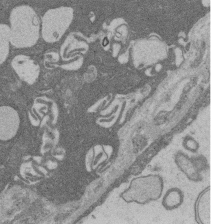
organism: Rat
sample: Salivary granule